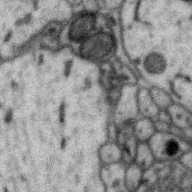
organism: Zebra finch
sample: Brain